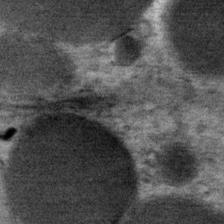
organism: Mouse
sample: Mouse Salivary gland